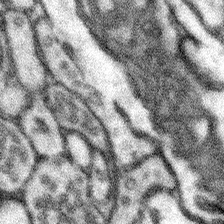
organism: Mouse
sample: Somatosensory cortex neuropil